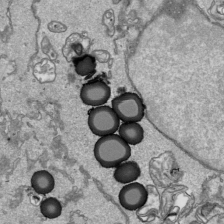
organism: Human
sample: Mitochondria in HCT116 cells